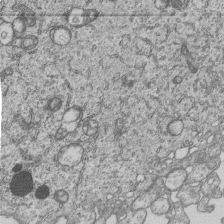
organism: Human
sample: MDA-MB-231 cells